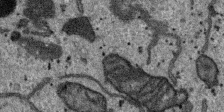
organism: Human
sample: Lung epithelial cells, uninfected (mock) control